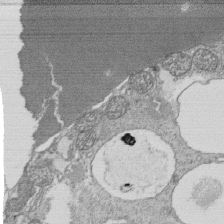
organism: Tetrahymena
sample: Cilia in tetrahymena